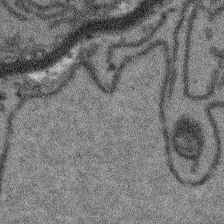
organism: Arabidopsis thaliana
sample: Root tip